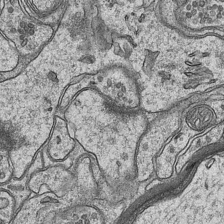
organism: Mouse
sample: CA1 Hippocampus